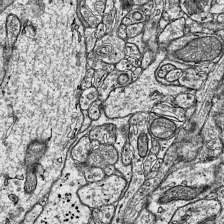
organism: Mouse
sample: Visual Cortex